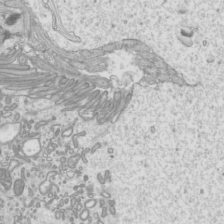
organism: Mouse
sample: Cilia; mouse epididymis